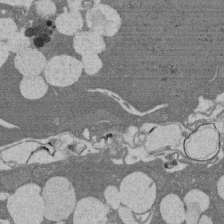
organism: Rat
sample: Salivary granule